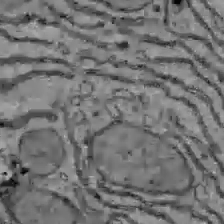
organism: C57BL Mouse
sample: Liver